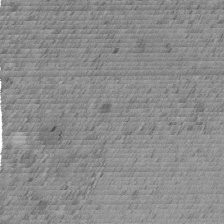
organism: C. elegans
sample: C. elegans embryo early stage